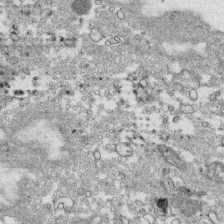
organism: Human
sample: CRL-1474